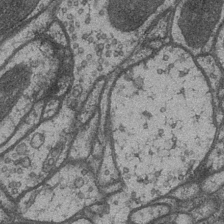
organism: Drosophila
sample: Optic medulla